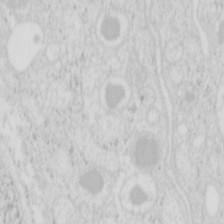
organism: Mouse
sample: Pancreas